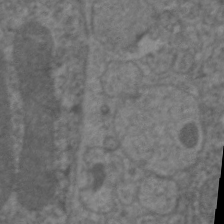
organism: C. elegans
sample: Pharynx